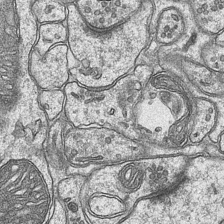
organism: Mouse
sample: CA1 Hippocampus